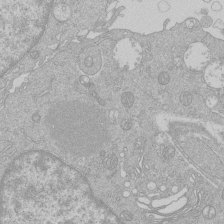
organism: Human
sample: Macrophage cells